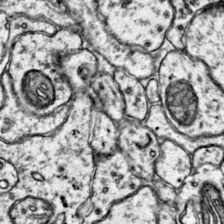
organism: Mouse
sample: Primary visual cortex